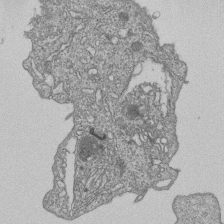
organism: Human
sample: MDA-MB-231 cells